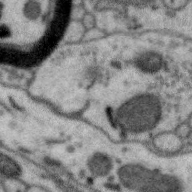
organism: Zebra finch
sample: Brain